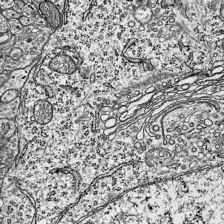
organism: Mouse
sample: Visual Cortex